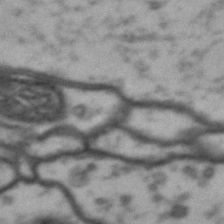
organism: Drosophila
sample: Brain